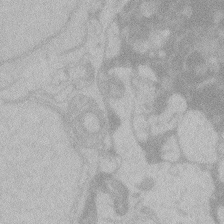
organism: Zebrafish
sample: Macrophage infected with Toxoplasma gondii